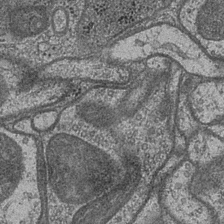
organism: Drosophila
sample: Optic medulla